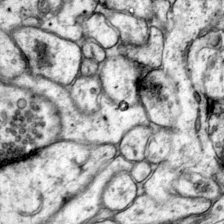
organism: Mouse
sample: Primary visual cortex